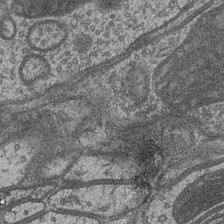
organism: Drosophila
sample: Optic medulla